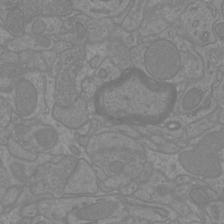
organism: Mouse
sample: Cortical neurons